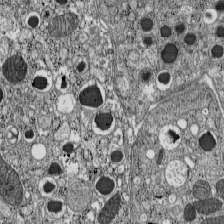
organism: C57BL Mouse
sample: Pancreatic islet